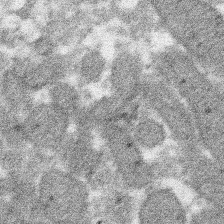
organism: Xenopus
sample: Cilia; centrioles in frog embryo cells